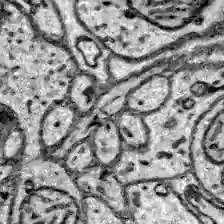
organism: Zebrafish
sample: Brain